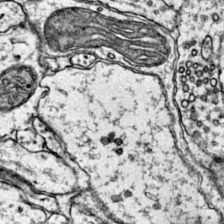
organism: Mouse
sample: Primary visual cortex